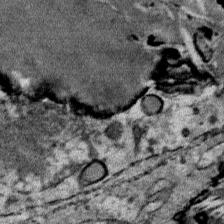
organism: Mouse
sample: Mouse Salivary gland